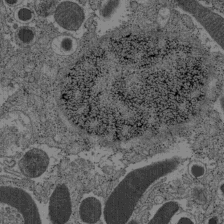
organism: C57BL Mouse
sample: Pancreatic islet